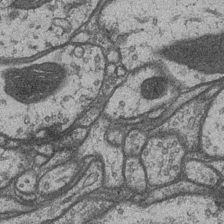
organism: Drosophila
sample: Optic medulla